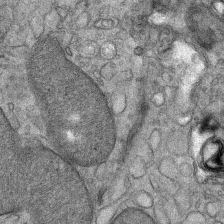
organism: Mouse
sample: Mouse Salivary gland